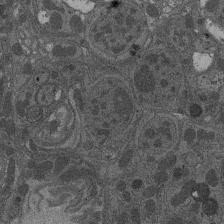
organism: Drosophila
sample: Antenna